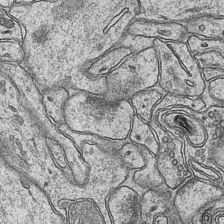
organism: Mouse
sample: CA1 Hippocampus